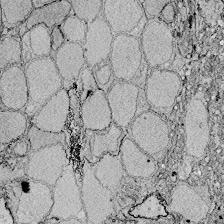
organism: Zebrafish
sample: Whole-Brain